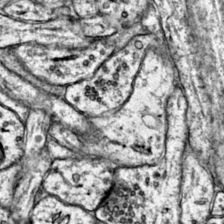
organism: Mouse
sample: Primary visual cortex